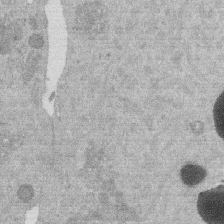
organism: Mouse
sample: Dividing mouse embryo 1 cell stage